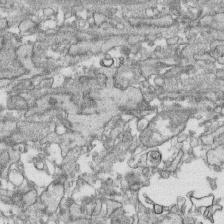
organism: Human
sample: CRL-1474